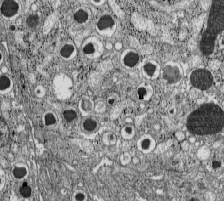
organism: C57BL Mouse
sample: Pancreatic islet